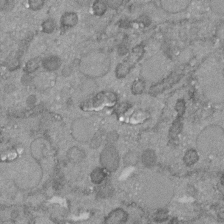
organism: C. elegans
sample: C. elegans embryo early stage